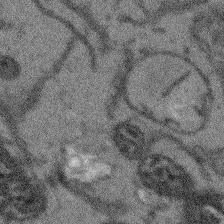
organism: Arabidopsis thaliana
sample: Root tip